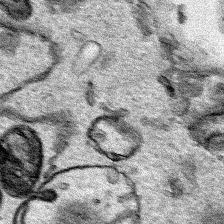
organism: Human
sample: Mitochondria in HCT116 cells